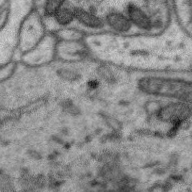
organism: Zebra finch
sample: Brain